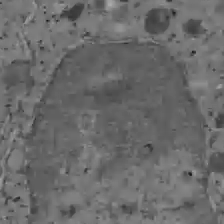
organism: C57BL Mouse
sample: Liver